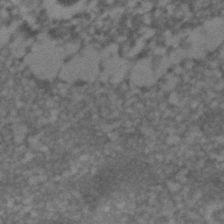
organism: C. elegans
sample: C. elegans embryo